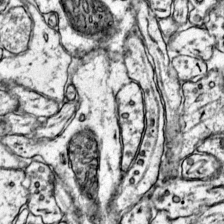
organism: Mouse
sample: Primary visual cortex